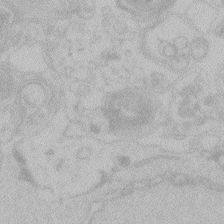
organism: Zebrafish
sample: Macrophage infected with Toxoplasma gondii